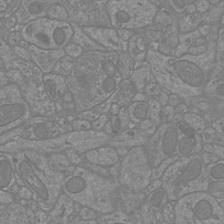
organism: Mouse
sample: Cortical neurons